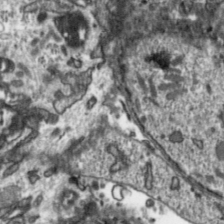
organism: Toxoplasma gondii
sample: Parasites in a vacuole inside a host cell